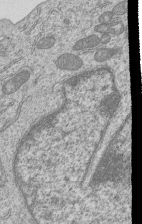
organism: Human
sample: MDA-MB-231 cells